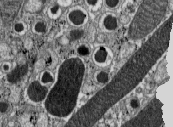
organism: C57BL Mouse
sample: Pancreatic islet